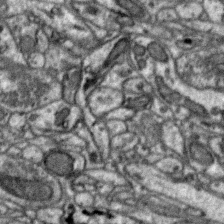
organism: Zebra finch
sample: Brain